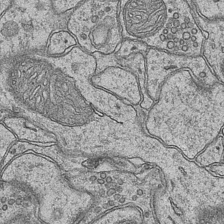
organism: Mouse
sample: CA1 Hippocampus